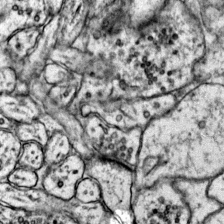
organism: Mouse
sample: Primary visual cortex